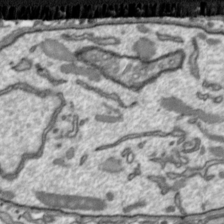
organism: Toxoplasma gondii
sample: Parasites in a vacuole inside a host cell